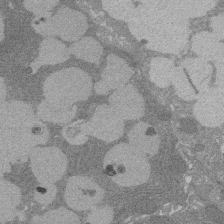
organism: Rat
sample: Salivary granule